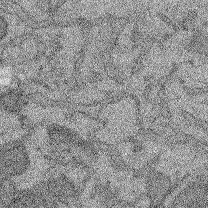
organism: Human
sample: HeLa cells